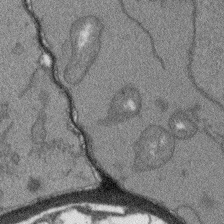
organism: Arabidopsis thaliana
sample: Root tip